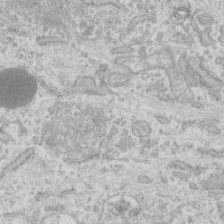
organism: Human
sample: Fibroblast cells